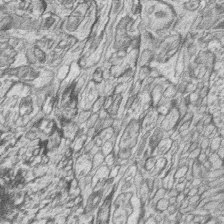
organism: Zebrafish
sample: synaptic ribbons in rod cells and cone cells